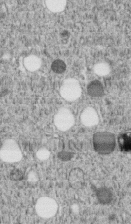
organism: C. elegans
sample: C. elegans embryo early stage